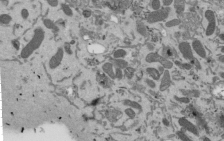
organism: Mouse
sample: ED-1 cell nuclei; centrioles